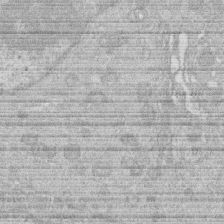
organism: Human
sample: Macrophage cells